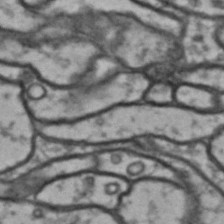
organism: Drosophila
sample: Brain